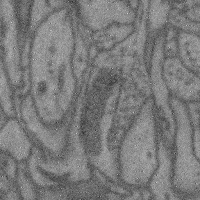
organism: Mouse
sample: Cerebral cortex